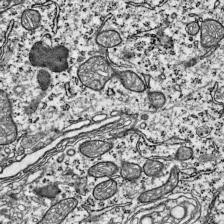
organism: Mouse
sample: Visual Cortex